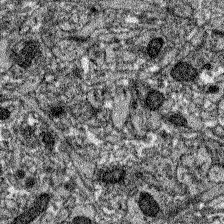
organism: Zebrafish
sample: Larval olfactory bulb